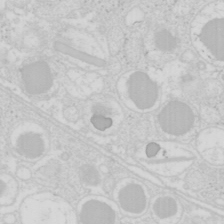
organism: Mouse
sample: Pancreas